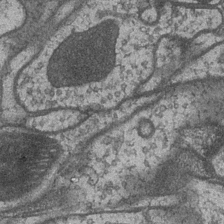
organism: Drosophila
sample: Optic medulla